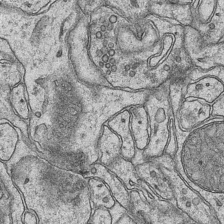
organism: Mouse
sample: CA1 Hippocampus